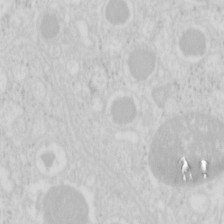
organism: Mouse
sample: Pancreas